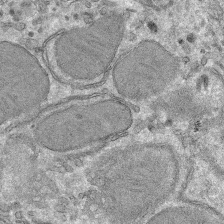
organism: Mouse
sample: Mouse hepatocytes